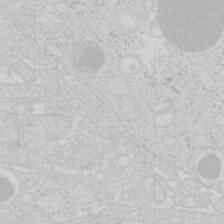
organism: Mouse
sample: Pancreas